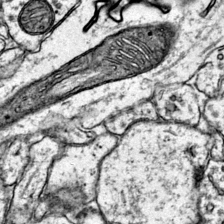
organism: Mouse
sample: Primary visual cortex